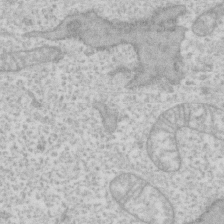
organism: Human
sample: Fibroblast cells